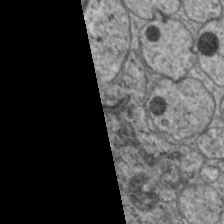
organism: C. elegans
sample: Pharynx